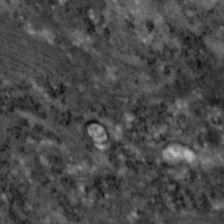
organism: Zebrafish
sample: Zebrafish embryo